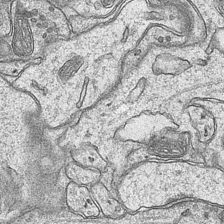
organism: Mouse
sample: CA1 Hippocampus